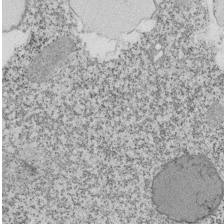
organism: Tetrahymena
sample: Cilia in tetrahymena